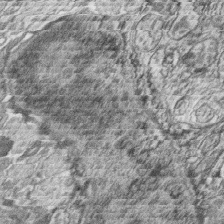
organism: Zebrafish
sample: synaptic ribbons in rod cells and cone cells